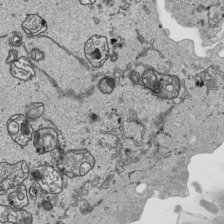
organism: Human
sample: Mitochondria in HCT116 cells